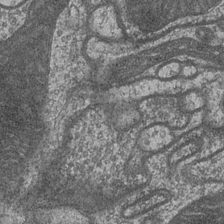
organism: Drosophila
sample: Optic medulla